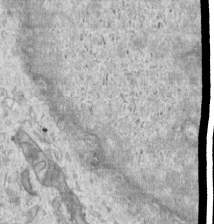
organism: Human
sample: Centriole in RPE cells